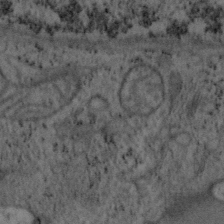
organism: Human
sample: HeLa cells